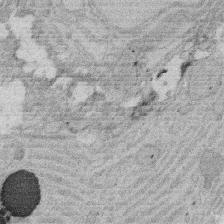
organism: Rat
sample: Salivary granule